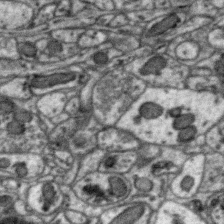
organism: Zebra finch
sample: Brain